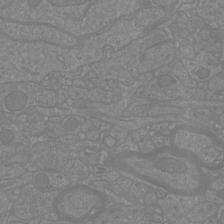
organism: Mouse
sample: Cortical neurons